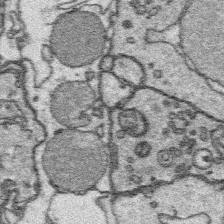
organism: Platynereis dumerilii